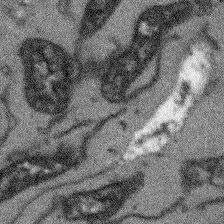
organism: Arabidopsis thaliana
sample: Root tip